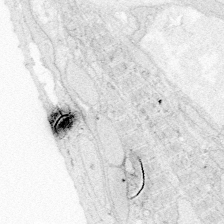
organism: Zebrafish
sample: Whole-Brain